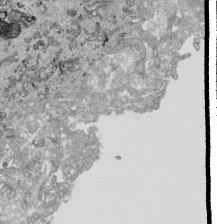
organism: Human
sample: Mitochondria in HCT116 cells